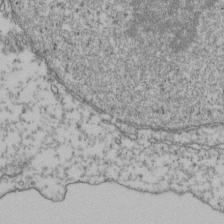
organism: Human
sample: Activated Jurkat CD4+ T cells